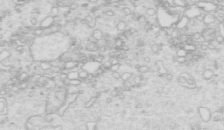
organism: Mouse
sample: Multiciliated cells